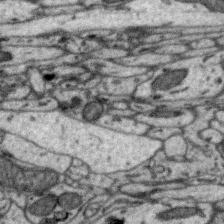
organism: Zebra finch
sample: Brain